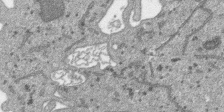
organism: Human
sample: Lung epithelial cells infected with SARS-CoV-2